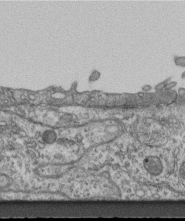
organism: Mouse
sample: Centriole in ependymal cells